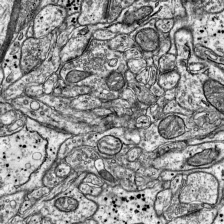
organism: Mouse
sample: Visual Cortex